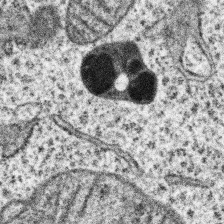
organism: Human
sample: HeLa cells